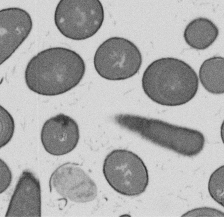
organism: B. subtilis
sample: Bacterial spore